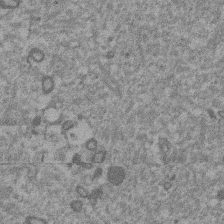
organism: Mouse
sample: Dividing mouse embryo 1 cell stage